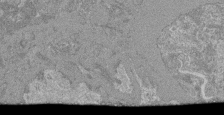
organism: Mouse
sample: Glomerulus